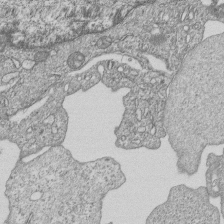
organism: Human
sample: MDA-MB-231 cells